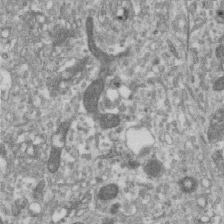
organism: Human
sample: Centriole in RPE cells